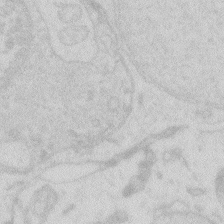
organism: Zebrafish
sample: Macrophage